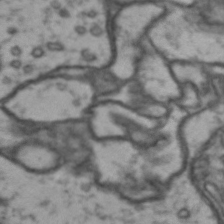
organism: Drosophila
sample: Brain